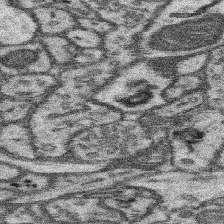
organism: Mouse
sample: Somatosensory cortex neuropil